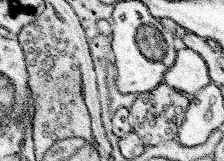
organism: Mouse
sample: Somatosensory cortex neuropil